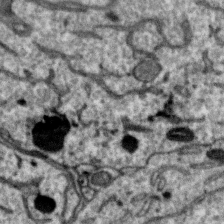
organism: Zebra finch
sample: Brain